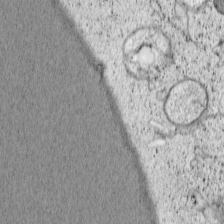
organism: African green monkey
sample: COS-7 cells